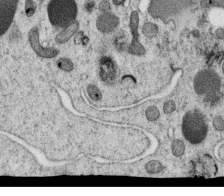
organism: C. elegans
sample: C. elegans oocyte; sperm cells